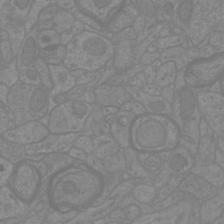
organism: Mouse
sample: Cortical neurons